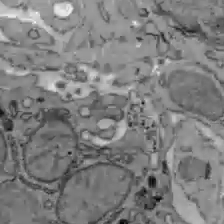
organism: C57BL Mouse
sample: Liver